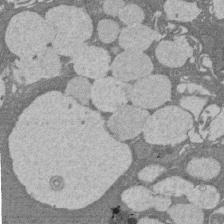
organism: Rat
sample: Salivary granule